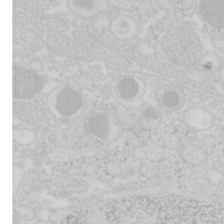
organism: Mouse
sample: Pancreas